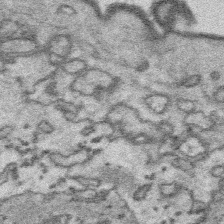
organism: Platynereis dumerilii